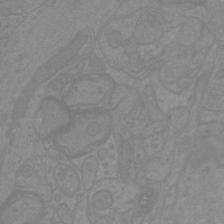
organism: Mouse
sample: Cortical neurons